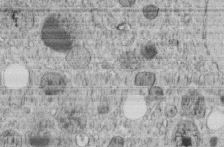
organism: C. elegans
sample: C. elegans embryo early stage